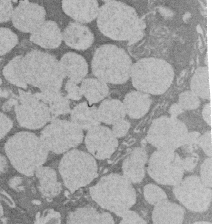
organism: Rat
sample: Salivary granule